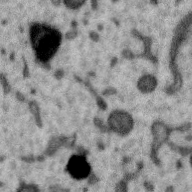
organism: Zebra finch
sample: Brain